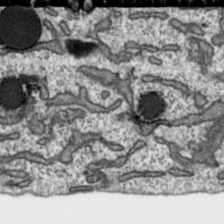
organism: Toxoplasma gondii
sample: Parasites in a vacuole inside a host cell